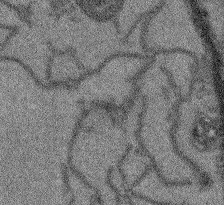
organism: Arabidopsis thaliana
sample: Root tip